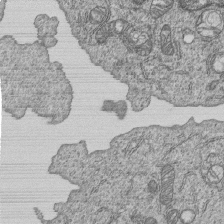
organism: Human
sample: MDA-MB-231 cells